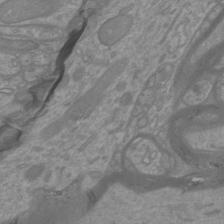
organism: Mouse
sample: Cortical neurons